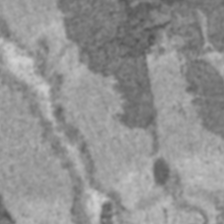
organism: C57BL Mouse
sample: Heart